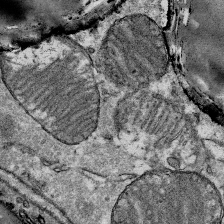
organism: Mouse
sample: Mouse Salivary gland